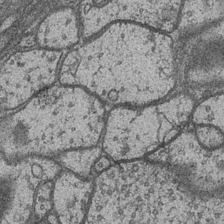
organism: Drosophila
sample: Optic medulla